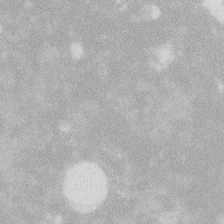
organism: Zebrafish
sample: Macrophage